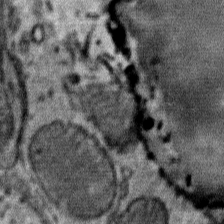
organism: Mouse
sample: Mouse Salivary gland